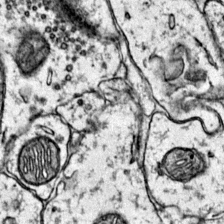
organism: Mouse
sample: Primary visual cortex